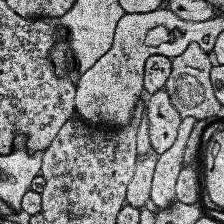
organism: Human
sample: Temporal Lobe